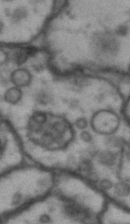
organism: Drosophila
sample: Brain